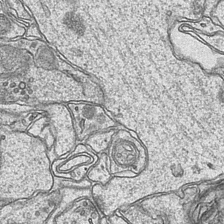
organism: Mouse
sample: CA1 Hippocampus